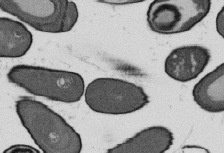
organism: B. subtilis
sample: Bacterial spore